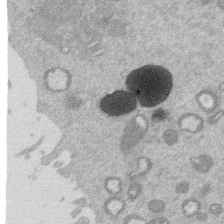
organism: Mouse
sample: Dividing mouse embryo 1 cell stage